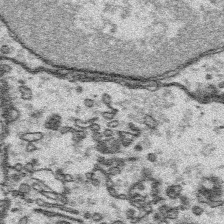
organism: Platynereis dumerilii